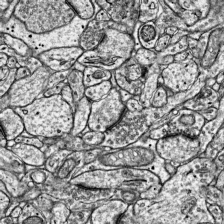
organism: Mouse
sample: Visual Cortex